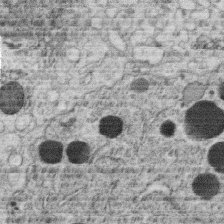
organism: C. elegans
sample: C. elegans oocyte; sperm cells